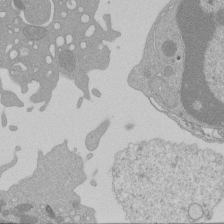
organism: Mouse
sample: Activated Pmel transgenic CD8+ T Cells